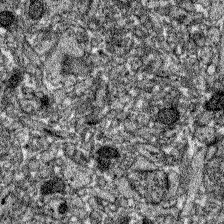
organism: Zebrafish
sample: Larval olfactory bulb